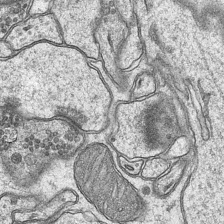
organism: Mouse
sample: CA1 Hippocampus